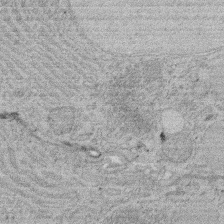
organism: Rat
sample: Salivary granule